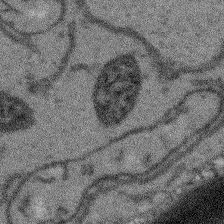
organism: Arabidopsis thaliana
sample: Root tip